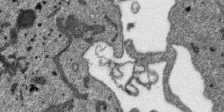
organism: Human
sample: Lung epithelial cells infected with SARS-CoV-2